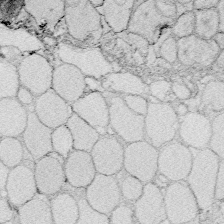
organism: Zebrafish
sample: Whole-Brain